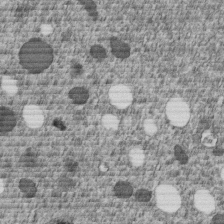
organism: C. elegans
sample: C. elegans embryo early stage